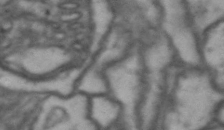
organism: Drosophila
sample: Brain